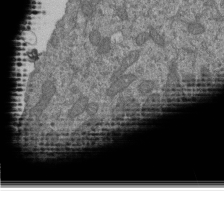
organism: Human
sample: Retinal organoid Rod and Cone cells